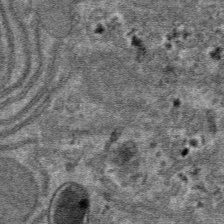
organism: Mouse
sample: Mouse hepatocytes